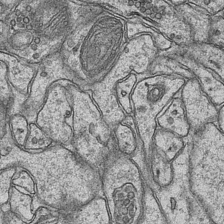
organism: Mouse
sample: CA1 Hippocampus